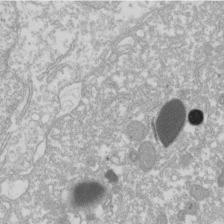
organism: Xenopus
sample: Cilia; centrioles in frog embryo cells